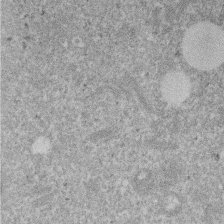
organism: Mouse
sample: Dividing mouse embryo 1 cell stage